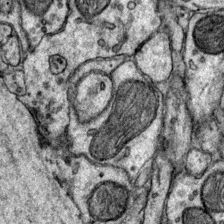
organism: Mouse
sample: Primary visual cortex